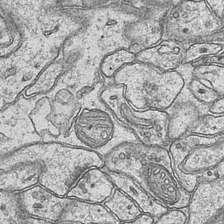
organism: Mouse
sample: CA1 Hippocampus